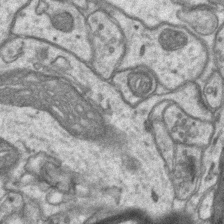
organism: Mouse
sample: CA1 Hippocampus